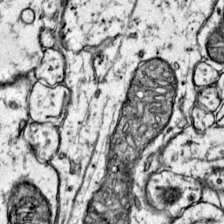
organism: Mouse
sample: Primary visual cortex